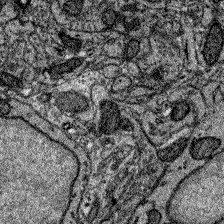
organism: Zebrafish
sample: Larval olfactory bulb